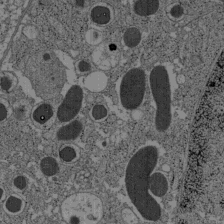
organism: C57BL Mouse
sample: Pancreatic islet